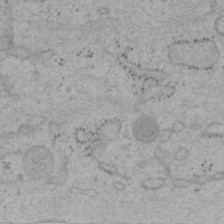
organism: Human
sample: HeLa cells